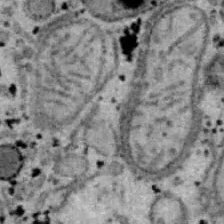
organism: Mouse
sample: Liver from an obese (ob/ob) mouse